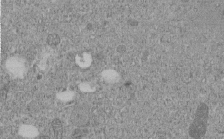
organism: C. elegans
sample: C. elegans embryo early stage